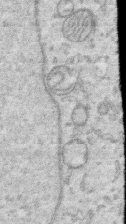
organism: Human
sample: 1205lu cells